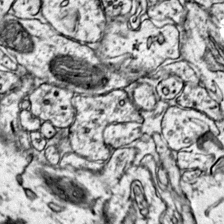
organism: Mouse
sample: Primary visual cortex